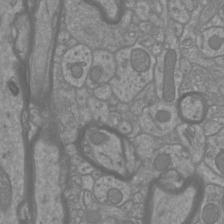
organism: Mouse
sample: Cortical neurons